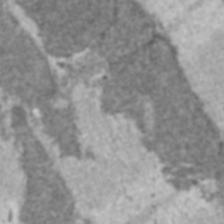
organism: C57BL Mouse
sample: Heart